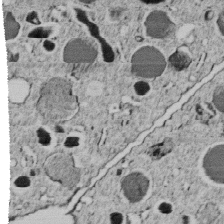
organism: C. elegans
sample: C. elegans embryo early stage